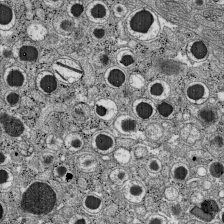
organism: C57BL Mouse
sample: Pancreatic islet